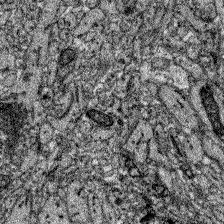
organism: Zebrafish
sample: Larval olfactory bulb